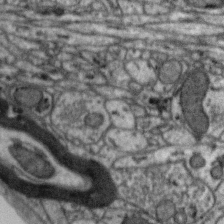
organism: Zebra finch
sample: Brain